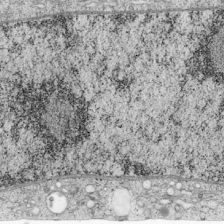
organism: African green monkey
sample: COS-7 cells